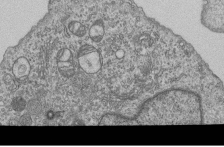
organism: Human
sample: MDA-MB-231 cells